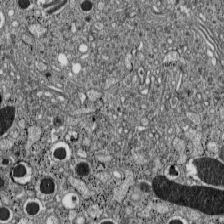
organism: C57BL Mouse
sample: Pancreatic islet